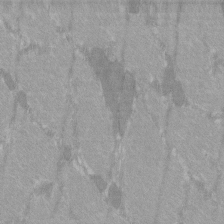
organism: C57BL Mouse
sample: Tibialis anterior muscle cell